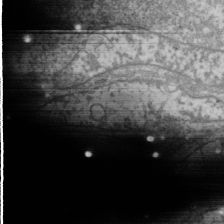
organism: Drosophila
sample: Cell division; meiosis; drosophila spermatocytes